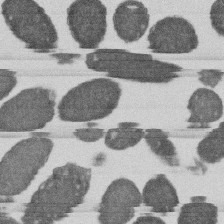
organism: E. coli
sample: Bacterial nucleoid